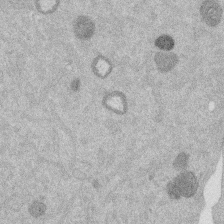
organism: Mouse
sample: Dividing mouse embryo 1 cell stage